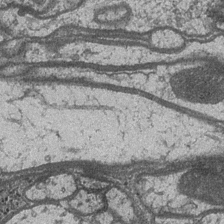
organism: Drosophila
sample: Optic medulla